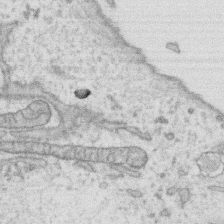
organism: Human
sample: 1205lu cells